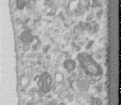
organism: Human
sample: Centriole in RPE cells